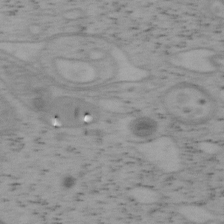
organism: Mouse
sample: OT-I killer T cells with ID8 ovarian cancer cells